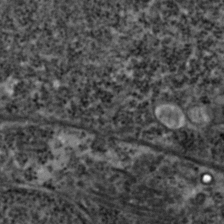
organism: Zebrafish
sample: Zebrafish embryo